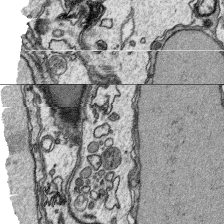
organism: Platynereis dumerilii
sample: Parapodia